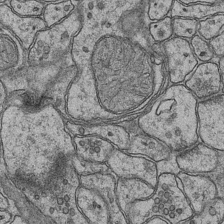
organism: Mouse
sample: CA1 Hippocampus